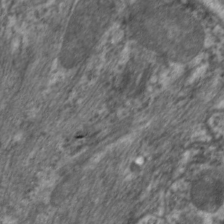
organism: C. elegans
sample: Pharynx